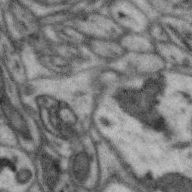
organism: Zebra finch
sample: Brain